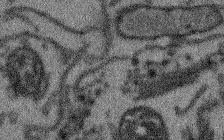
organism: Arabidopsis thaliana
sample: Root tip